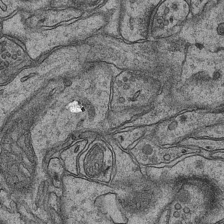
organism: Mouse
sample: CA1 Hippocampus